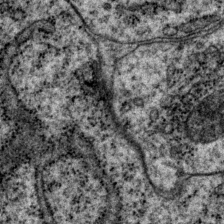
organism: P. pacificus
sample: Pharynx